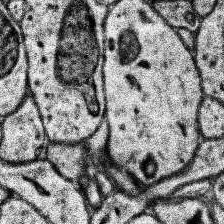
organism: Human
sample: Temporal Lobe